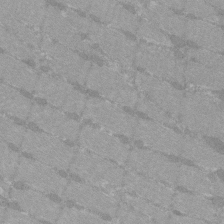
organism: C57BL Mouse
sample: Tibialis anterior muscle cell